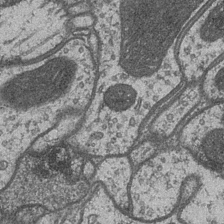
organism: Drosophila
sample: Optic medulla